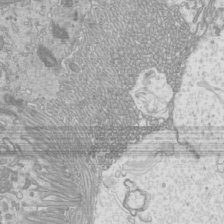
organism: Mouse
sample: Cilia; mouse epididymis